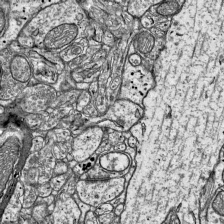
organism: Mouse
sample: Visual Cortex